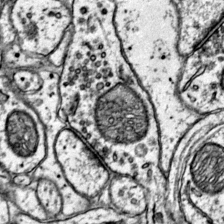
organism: Mouse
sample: Primary visual cortex